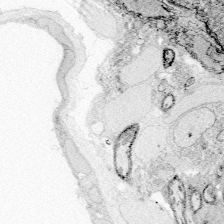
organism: Zebrafish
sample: Whole-Brain